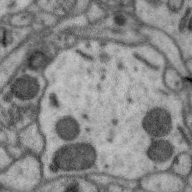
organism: Zebra finch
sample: Brain